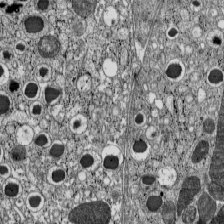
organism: C57BL Mouse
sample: Pancreatic islet